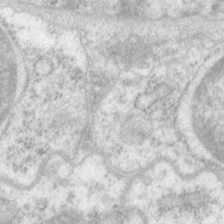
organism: P. pacificus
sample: Pharynx